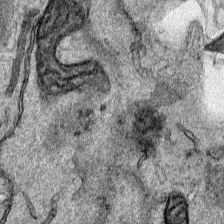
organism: Human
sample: Mitochondria in HCT116 cells